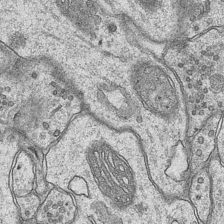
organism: Mouse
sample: CA1 Hippocampus